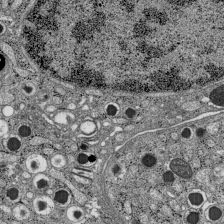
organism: C57BL Mouse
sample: Pancreatic islet